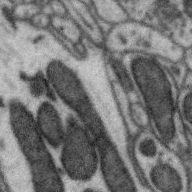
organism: Zebra finch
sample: Brain